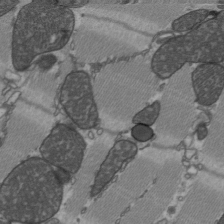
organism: C57BL Mouse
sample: Heart